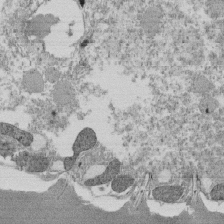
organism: Tetrahymena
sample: Cilia in tetrahymena